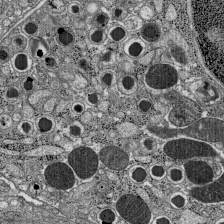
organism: C57BL Mouse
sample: Pancreatic islet